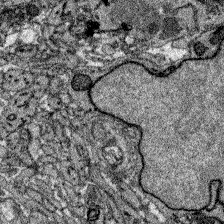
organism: Zebrafish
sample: Larval olfactory bulb